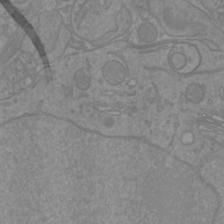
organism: Mouse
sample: Cortical neurons